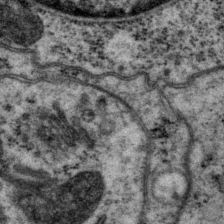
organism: P. pacificus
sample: Pharynx